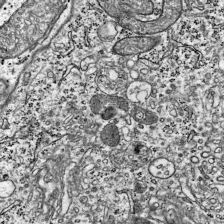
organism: Mouse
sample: Visual Cortex